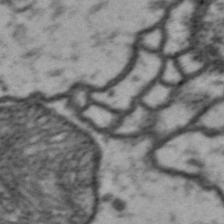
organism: Drosophila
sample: Brain